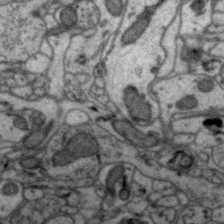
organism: Zebra finch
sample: Brain